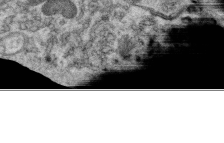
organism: C. elegans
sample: C. elegans oocyte; sperm cells